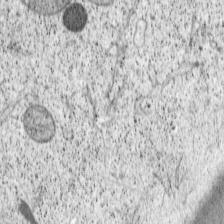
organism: African green monkey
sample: COS-7 cells